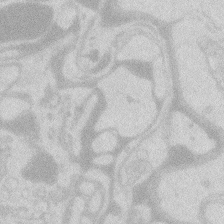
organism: Zebrafish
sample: Macrophage